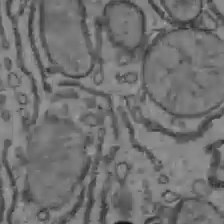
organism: C57BL Mouse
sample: Liver